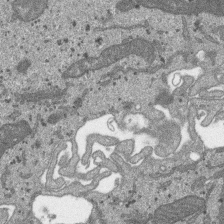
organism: Human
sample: Lung epithelial cells infected with SARS-CoV-2